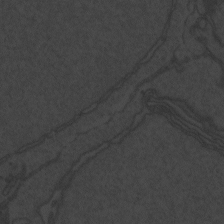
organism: Zebrafish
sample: Macrophage infected with Toxoplasma gondii